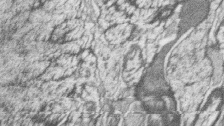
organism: Zebrafish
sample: synaptic ribbons in rod cells and cone cells